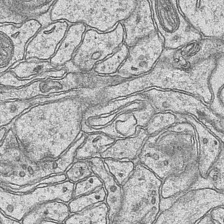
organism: Mouse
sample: CA1 Hippocampus